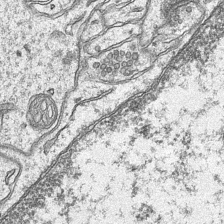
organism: Mouse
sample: CA1 Hippocampus